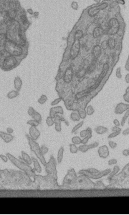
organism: Human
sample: Retinal organoid Rod and Cone cells